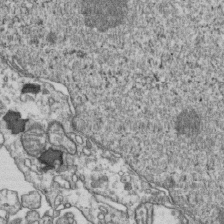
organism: Human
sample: Activated Jurkat CD4+ T cells